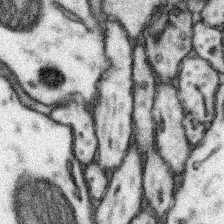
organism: Mouse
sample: Somatosensory cortex neuropil